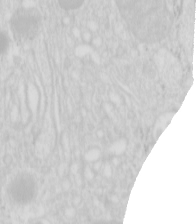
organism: Mouse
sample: Pancreas